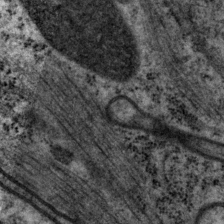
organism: P. pacificus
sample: Pharynx